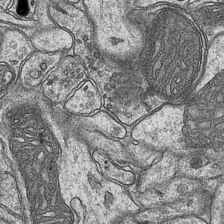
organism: Mouse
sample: CA1 Hippocampus